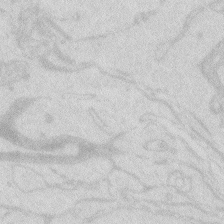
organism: Zebrafish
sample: Macrophage